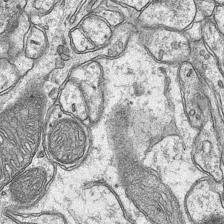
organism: Mouse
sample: CA1 Hippocampus